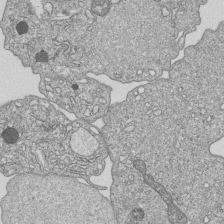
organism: Human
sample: MDA-MB-231 cells